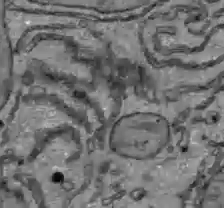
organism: C57BL Mouse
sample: Liver